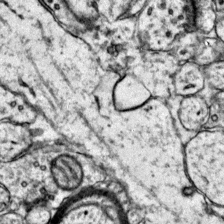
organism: Mouse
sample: Primary visual cortex